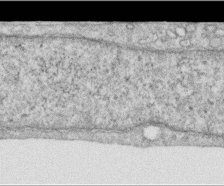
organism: Human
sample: Centriole in RPE cells